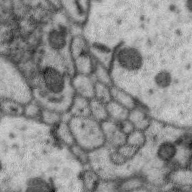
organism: Zebra finch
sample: Brain